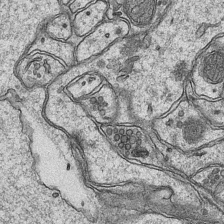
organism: Mouse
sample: CA1 Hippocampus